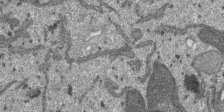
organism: Human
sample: Lung epithelial cells infected with SARS-CoV-2